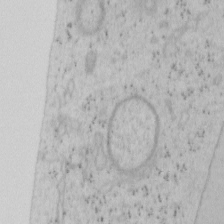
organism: Human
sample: HeLa cells